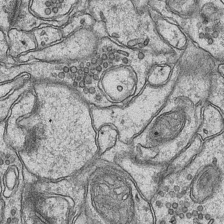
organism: Mouse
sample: CA1 Hippocampus